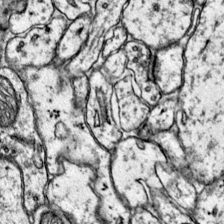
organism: Mouse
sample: Primary visual cortex